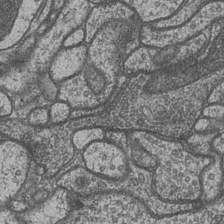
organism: Drosophila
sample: Optic medulla